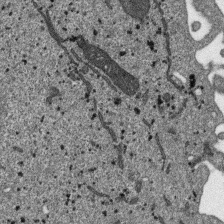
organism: Human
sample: Lung epithelial cells infected with SARS-CoV-2